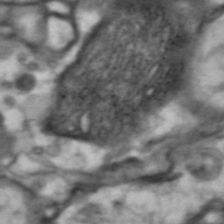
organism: Drosophila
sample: Brain